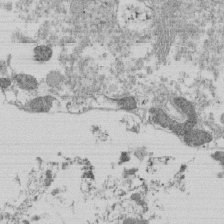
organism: Tetrahymena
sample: Cilia in tetrahymena